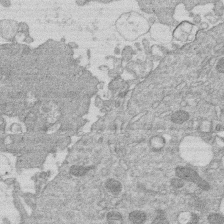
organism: Human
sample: Macrophage cells